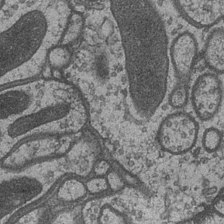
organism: Drosophila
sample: Optic medulla